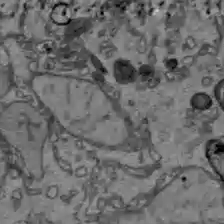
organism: C57BL Mouse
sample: Liver